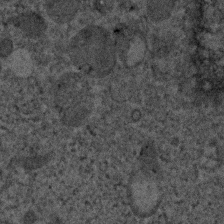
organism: Human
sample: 1205lu cells